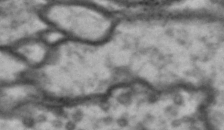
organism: Drosophila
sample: Brain